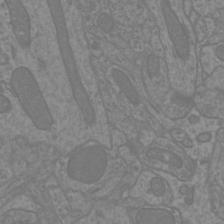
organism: Mouse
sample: Cortical neurons